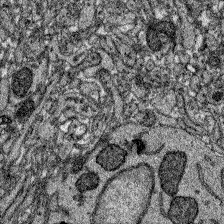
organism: Zebrafish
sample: Larval olfactory bulb